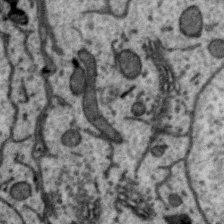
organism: Zebra finch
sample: Brain